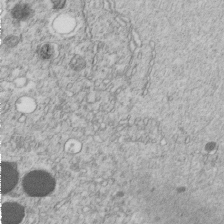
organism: C. elegans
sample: C. elegans embryo early stage